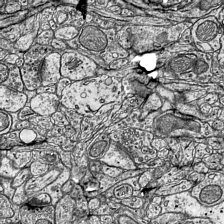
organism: Mouse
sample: Visual Cortex